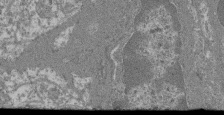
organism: Mouse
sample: Glomerulus